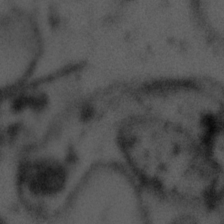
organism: Tuwongella immobilis